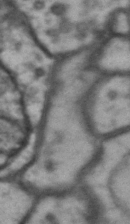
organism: Drosophila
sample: Brain